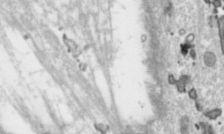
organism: Toxoplasma gondii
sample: Parasites in a vacuole inside a host cell